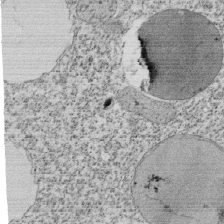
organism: Tetrahymena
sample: Cilia in tetrahymena